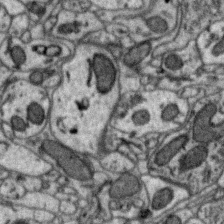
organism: Zebra finch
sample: Brain